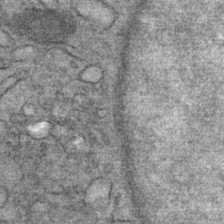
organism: Mouse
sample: Mouse Salivary gland